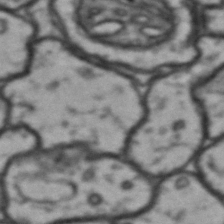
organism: Drosophila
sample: Brain